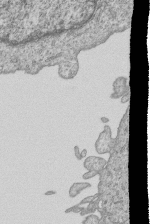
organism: Human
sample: MDA-MB-231 cells